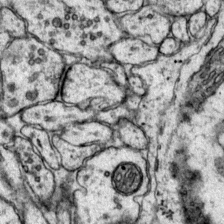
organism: Mouse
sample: Primary visual cortex